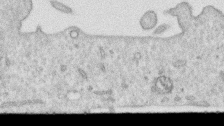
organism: Human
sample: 1205lu cells